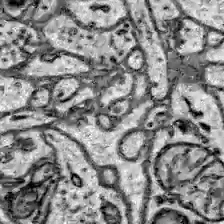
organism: Zebrafish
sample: Brain